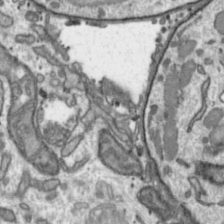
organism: Toxoplasma gondii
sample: Parasites in a vacuole inside a host cell